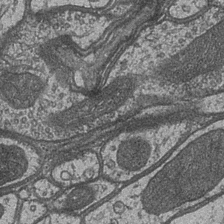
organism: Drosophila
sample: Optic medulla